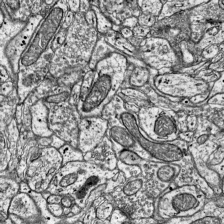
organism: Mouse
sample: Visual Cortex